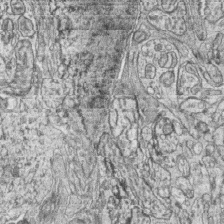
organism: Zebrafish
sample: synaptic ribbons in rod cells and cone cells